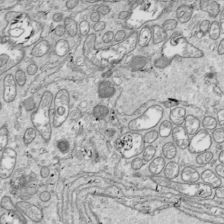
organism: Drosophila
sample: Cell division; meiosis; drosophila spermatocytes